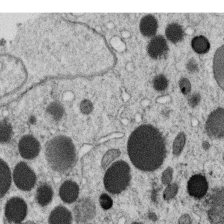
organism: C. elegans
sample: C. elegans oocyte; sperm cells